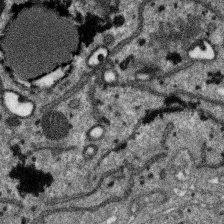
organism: Human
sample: Lung epithelial cells infected with SARS-CoV-2